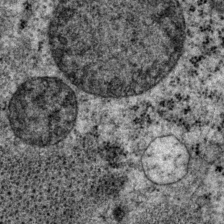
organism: P. pacificus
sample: Pharynx